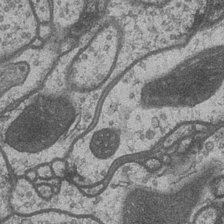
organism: Drosophila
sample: Optic medulla